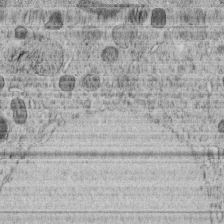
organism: C. elegans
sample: C. elegans embryo early stage